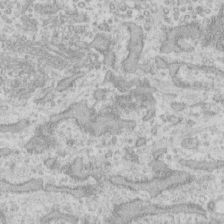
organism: Human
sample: Fibroblast cells